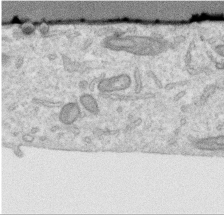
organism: Human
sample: Centriole in RPE cells